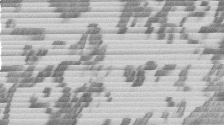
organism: Mouse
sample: Dividing mouse embryo 1 cell stage